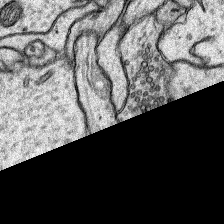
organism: Rat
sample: Hippocampus